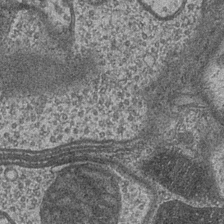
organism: Drosophila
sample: Optic medulla